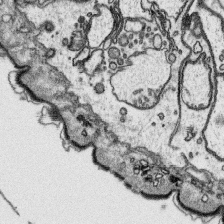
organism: Platynereis dumerilii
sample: Parapodia